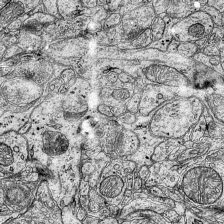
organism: Mouse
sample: Visual Cortex